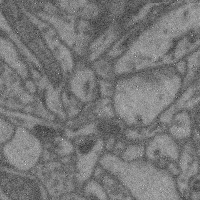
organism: Mouse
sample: Cerebral cortex